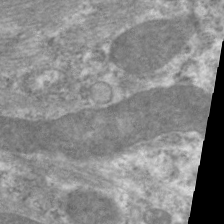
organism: C. elegans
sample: Pharynx